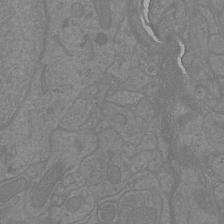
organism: Mouse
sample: Cortical neurons